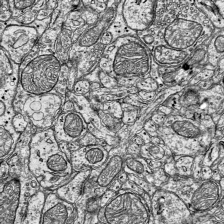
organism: Mouse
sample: Visual Cortex